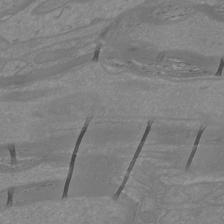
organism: Mouse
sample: Cortical neurons